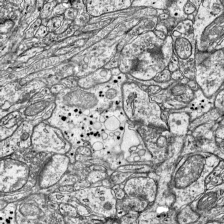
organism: Mouse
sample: Visual Cortex